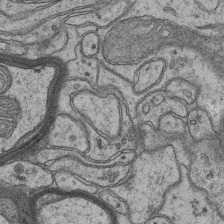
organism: Mouse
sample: CA1 Hippocampus